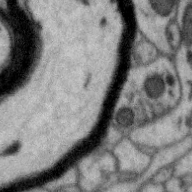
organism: Zebra finch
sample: Brain